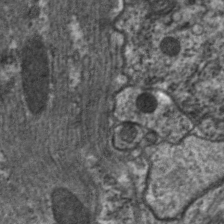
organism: C. elegans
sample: Pharynx